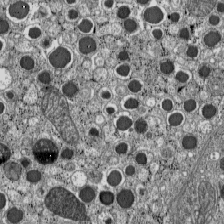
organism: C57BL Mouse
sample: Pancreatic islet